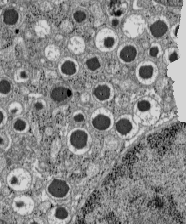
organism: C57BL Mouse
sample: Pancreatic islet